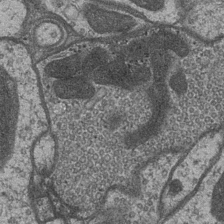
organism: Drosophila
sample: Optic medulla